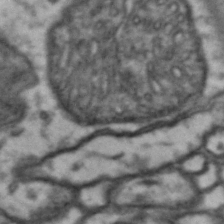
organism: Drosophila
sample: Brain